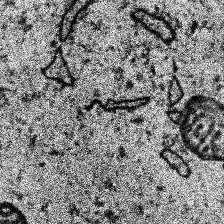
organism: Human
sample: Temporal Lobe